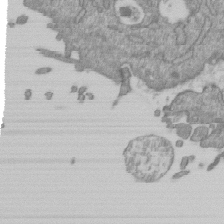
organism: Mouse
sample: ED-1 cell nuclei; centrioles